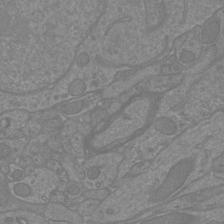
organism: Mouse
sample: Cortical neurons